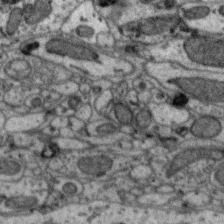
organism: Zebra finch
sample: Brain